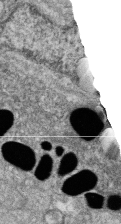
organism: Zebrafish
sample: Cilia; retinal pigment epithelium